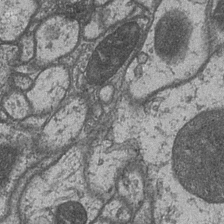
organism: Drosophila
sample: Optic medulla